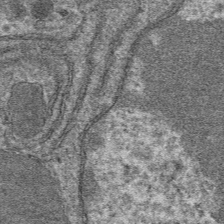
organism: Mouse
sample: Mouse hepatocytes